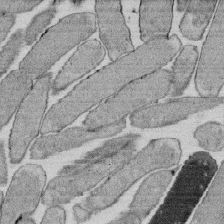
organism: E. coli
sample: Bacterial nucleoid